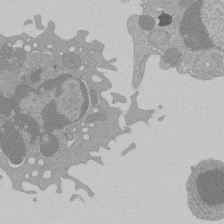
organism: Mouse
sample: Activated Pmel transgenic CD8+ T Cells